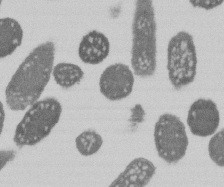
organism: E. coli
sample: Bacterial nucleoid